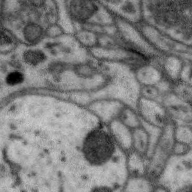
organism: Zebra finch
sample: Brain